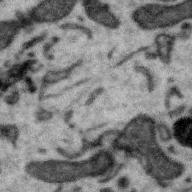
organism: Zebra finch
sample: Brain